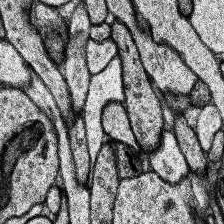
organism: Human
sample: Temporal Lobe